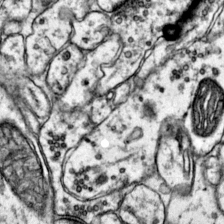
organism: Mouse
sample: Primary visual cortex